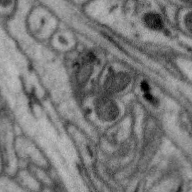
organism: Zebra finch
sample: Brain